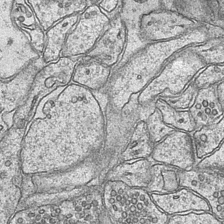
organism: Mouse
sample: CA1 Hippocampus